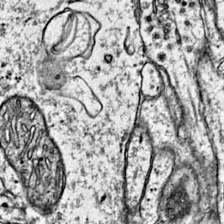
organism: Mouse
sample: Primary visual cortex